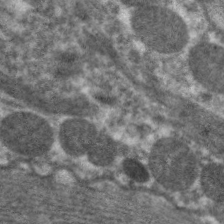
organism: C. elegans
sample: Pharynx